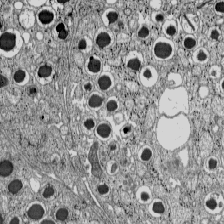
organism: C57BL Mouse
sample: Pancreatic islet